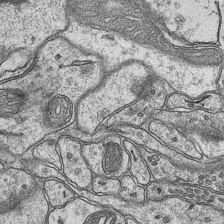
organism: Mouse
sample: CA1 Hippocampus